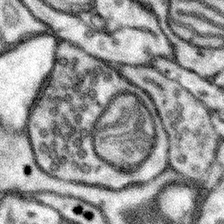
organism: Mouse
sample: Somatosensory cortex neuropil